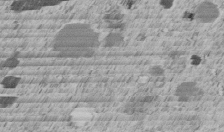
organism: C. elegans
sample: C. elegans embryo early stage